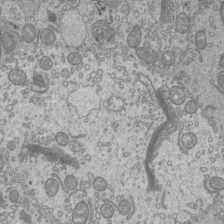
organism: Mouse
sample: Cilia; mouse epididymis